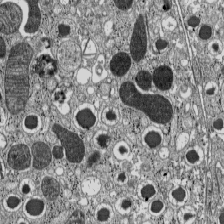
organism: C57BL Mouse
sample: Pancreatic islet